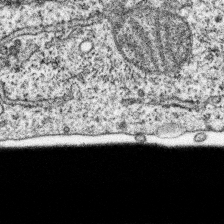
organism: Human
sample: HeLa cells